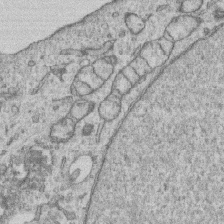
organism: Human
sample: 1205lu cells